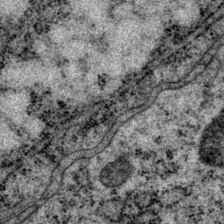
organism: P. pacificus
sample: Pharynx